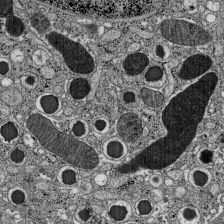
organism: C57BL Mouse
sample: Pancreatic islet